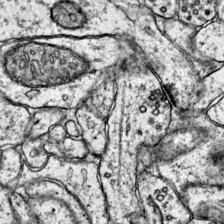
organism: Mouse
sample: Primary visual cortex